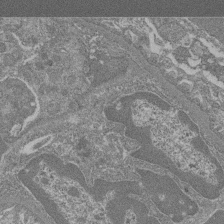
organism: Mouse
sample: Glomerulus